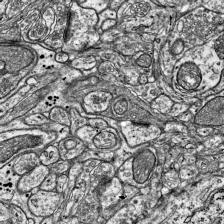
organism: Mouse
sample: Visual Cortex